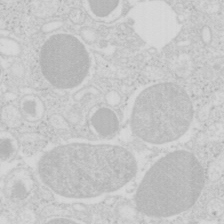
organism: Mouse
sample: Pancreas